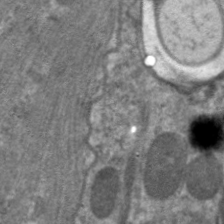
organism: C. elegans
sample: Pharynx